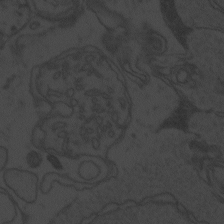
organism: Zebrafish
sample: Macrophage infected with Toxoplasma gondii